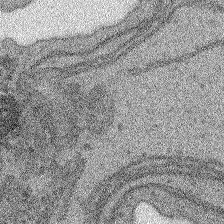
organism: Human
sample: HeLa cells